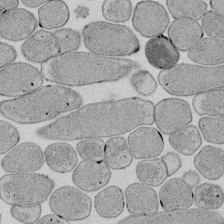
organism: E. coli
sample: Bacterial nucleoid